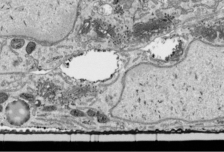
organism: Human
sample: Mitochondria in HCT116 cells